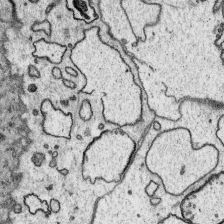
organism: Platynereis dumerilii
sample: Parapodia